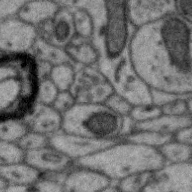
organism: Zebra finch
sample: Brain